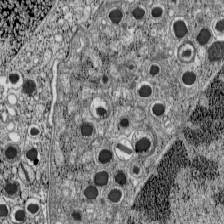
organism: C57BL Mouse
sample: Pancreatic islet